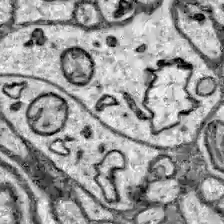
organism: Zebrafish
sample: Brain